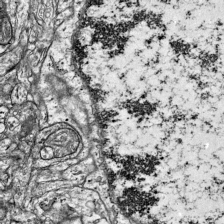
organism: Mouse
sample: Visual Cortex